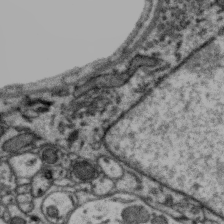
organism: Zebra finch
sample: Brain